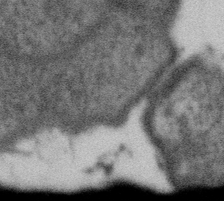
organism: Gemmata obscuriglobus